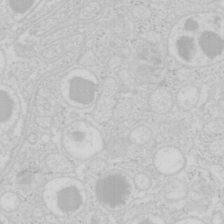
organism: Mouse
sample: Pancreas